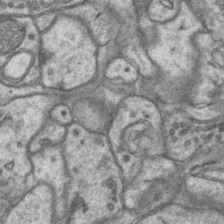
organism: Mouse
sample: CA1 Hippocampus